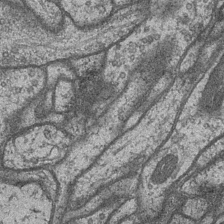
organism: Drosophila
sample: Optic medulla